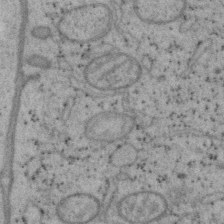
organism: Human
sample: HeLa cells